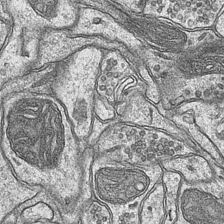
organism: Mouse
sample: CA1 Hippocampus